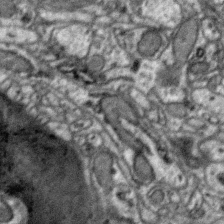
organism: Zebra finch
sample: Brain